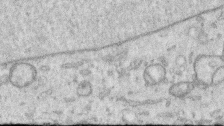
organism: Human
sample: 1205lu cells